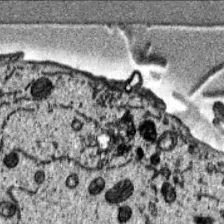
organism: Human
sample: HeLa cells